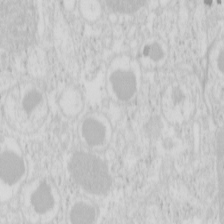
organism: Mouse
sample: Pancreas